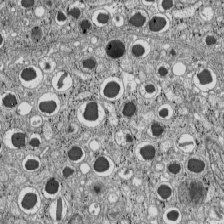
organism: C57BL Mouse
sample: Pancreatic islet